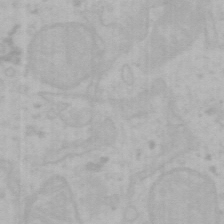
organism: Mouse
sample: Choroid plexus